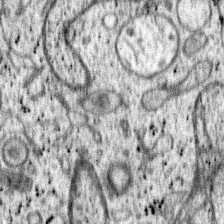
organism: Human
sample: HeLa cells